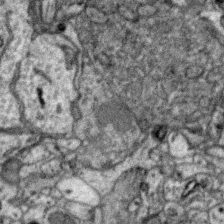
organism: Zebra finch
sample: Brain